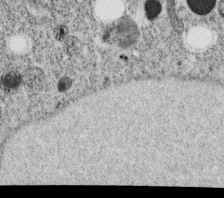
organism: C. elegans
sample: C. elegans oocyte; sperm cells